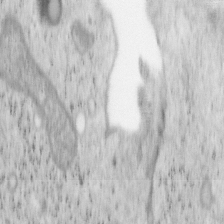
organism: Human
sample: HeLa cells